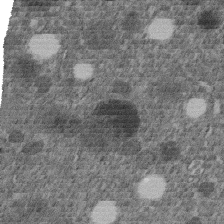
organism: C. elegans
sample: C. elegans embryo early stage